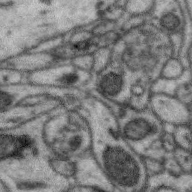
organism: Zebra finch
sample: Brain